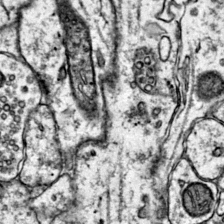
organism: Mouse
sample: Primary visual cortex